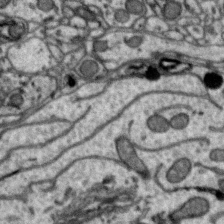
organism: Zebra finch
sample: Brain